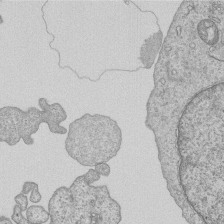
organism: Human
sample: MDA-MB-231 cells